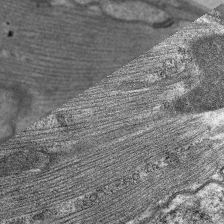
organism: C. elegans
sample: Pharynx